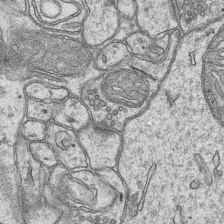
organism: Mouse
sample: CA1 Hippocampus